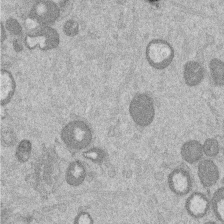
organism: Mouse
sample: Dividing mouse embryo 1 cell stage